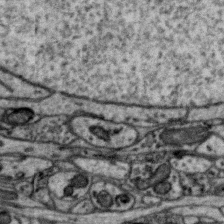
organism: Zebra finch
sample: Brain